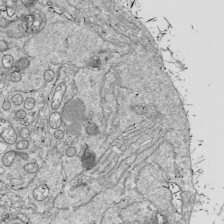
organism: Drosophila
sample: Cell division; meiosis; drosophila spermatocytes